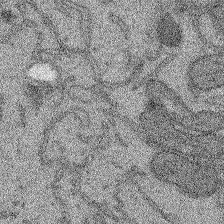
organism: Human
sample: HeLa cells